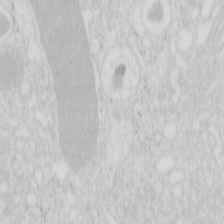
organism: Mouse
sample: Pancreas